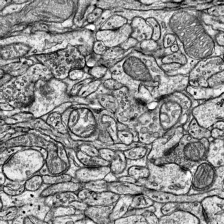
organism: Mouse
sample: Visual Cortex